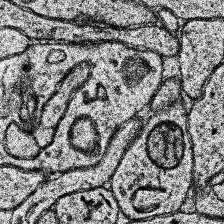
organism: Human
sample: Temporal Lobe